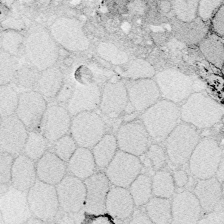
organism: Zebrafish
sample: Whole-Brain